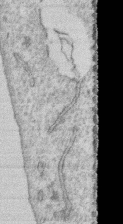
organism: Human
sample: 1205lu cells